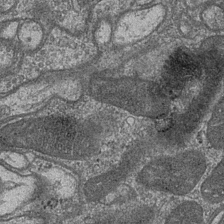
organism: Drosophila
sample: Optic medulla